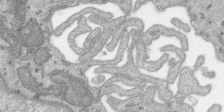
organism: Human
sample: Lung epithelial cells infected with SARS-CoV-2